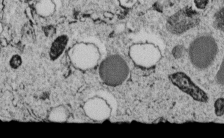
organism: C. elegans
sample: C. elegans embryo early stage